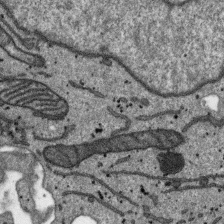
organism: Human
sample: Lung epithelial cells, uninfected (mock) control